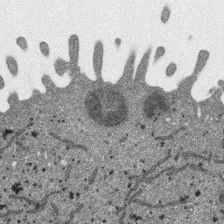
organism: Human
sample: Lung epithelial cells infected with SARS-CoV-2